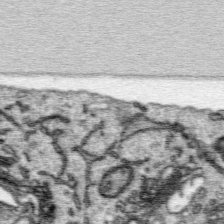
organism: Human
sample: HeLa cells